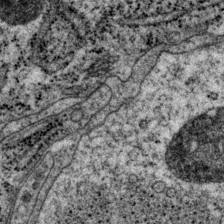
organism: P. pacificus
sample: Pharynx